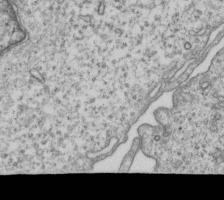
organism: Human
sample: MDA-MB-231 cells